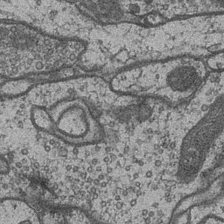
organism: Drosophila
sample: Optic medulla